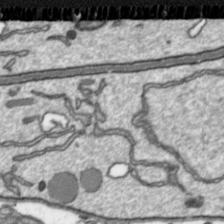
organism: Toxoplasma gondii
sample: Parasites in a vacuole inside a host cell